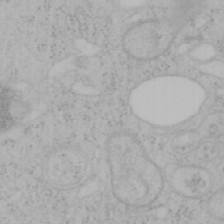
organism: Mouse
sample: OT-I killer T cells with ID8 ovarian cancer cells